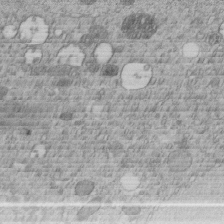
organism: C. elegans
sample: C. elegans embryo early stage